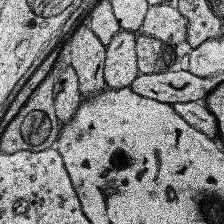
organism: Human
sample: Temporal Lobe